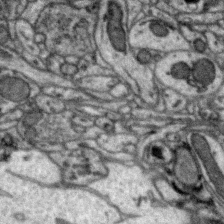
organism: Zebra finch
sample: Brain